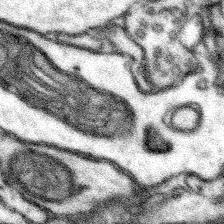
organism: Mouse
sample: Somatosensory cortex neuropil